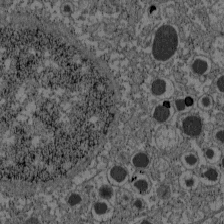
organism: C57BL Mouse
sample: Pancreatic islet